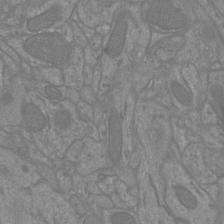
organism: Mouse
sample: Cortical neurons